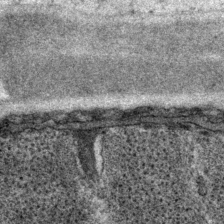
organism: P. pacificus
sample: Pharynx